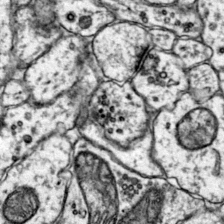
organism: Mouse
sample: Primary visual cortex